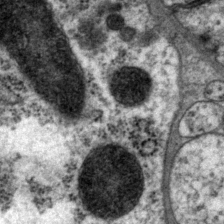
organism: P. pacificus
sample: Pharynx